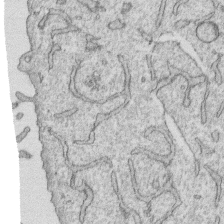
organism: Human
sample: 1205lu cells